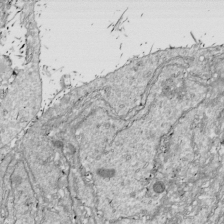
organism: Drosophila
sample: Cell division; meiosis; drosophila spermatocytes